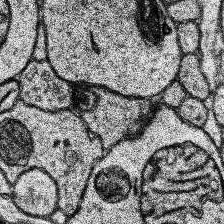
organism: Human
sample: Temporal Lobe